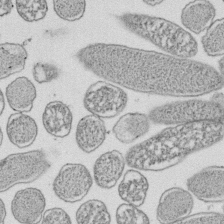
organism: E. coli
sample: Bacterial nucleoid